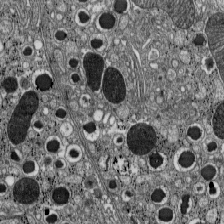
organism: C57BL Mouse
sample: Pancreatic islet